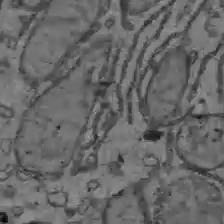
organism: C57BL Mouse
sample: Liver